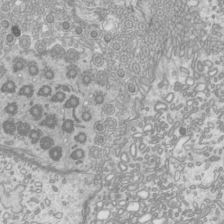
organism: Mouse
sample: Cilia; mouse epididymis